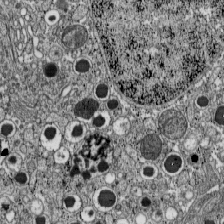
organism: C57BL Mouse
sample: Pancreatic islet